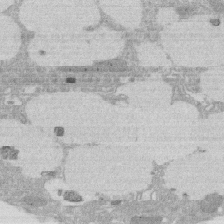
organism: Rat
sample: Salivary granule